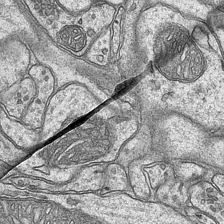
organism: Mouse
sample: CA1 Hippocampus